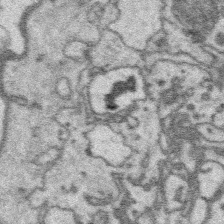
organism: Platynereis dumerilii